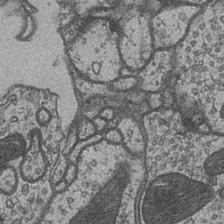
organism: Drosophila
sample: Optic medulla